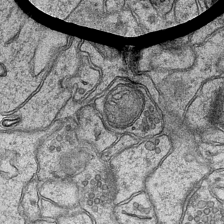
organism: Mouse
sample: CA1 Hippocampus